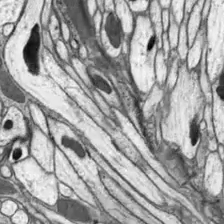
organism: Drosophila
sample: Optic lobe